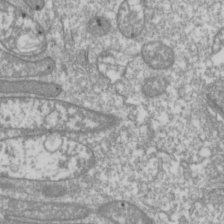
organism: Drosophila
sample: Cell division; meiosis; drosophila spermatocytes